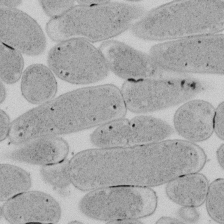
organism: E. coli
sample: Bacterial nucleoid